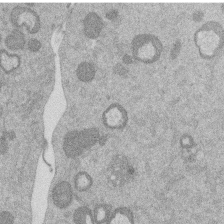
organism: Mouse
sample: Dividing mouse embryo 1 cell stage